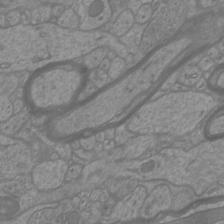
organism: Mouse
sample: Cortical neurons